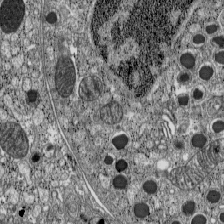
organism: C57BL Mouse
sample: Pancreatic islet